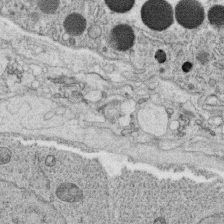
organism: C. elegans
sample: C. elegans oocyte; sperm cells